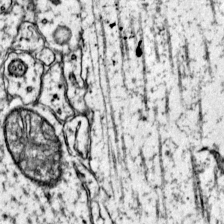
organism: Mouse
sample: Primary visual cortex